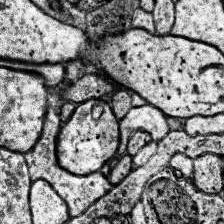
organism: Human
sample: Temporal Lobe